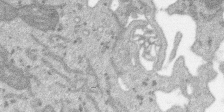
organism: Human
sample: Lung epithelial cells infected with SARS-CoV-2